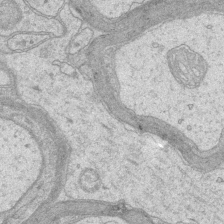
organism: Mouse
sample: CA1 Hippocampus